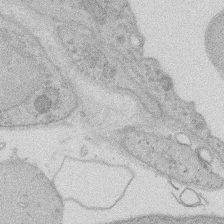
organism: Rat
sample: Salivary granule